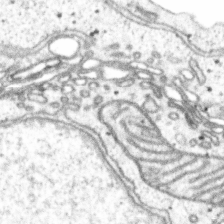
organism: Human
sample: HeLa cells